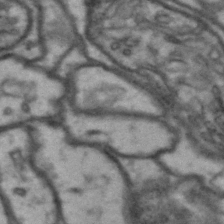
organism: Drosophila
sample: Brain